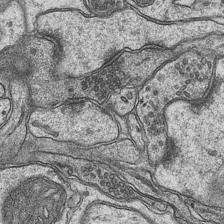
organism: Mouse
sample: CA1 Hippocampus